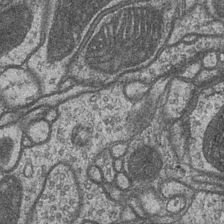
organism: Drosophila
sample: Optic medulla